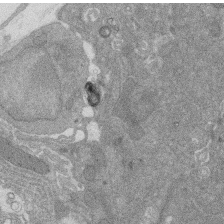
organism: Rat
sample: Salivary granule